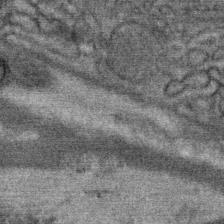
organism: Mouse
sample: Mouse Salivary gland